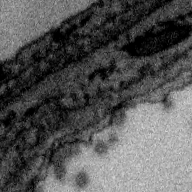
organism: Zebra finch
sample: Brain